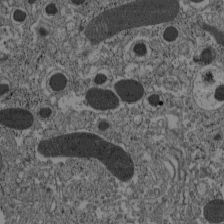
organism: C57BL Mouse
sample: Pancreatic islet